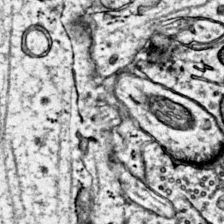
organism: Mouse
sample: Primary visual cortex